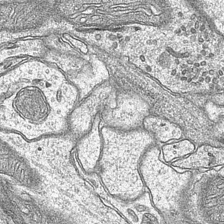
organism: Mouse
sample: CA1 Hippocampus